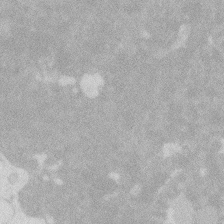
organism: Zebrafish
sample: Macrophage